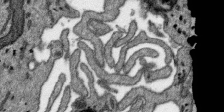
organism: Human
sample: Lung epithelial cells, uninfected (mock) control